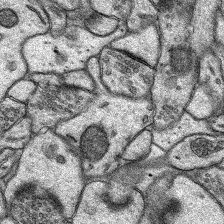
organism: Rat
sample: Hippocampus